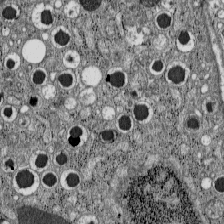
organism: C57BL Mouse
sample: Pancreatic islet